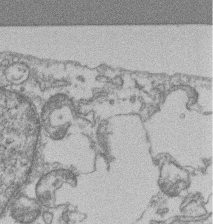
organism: Mouse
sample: T cell stromal cell synapse